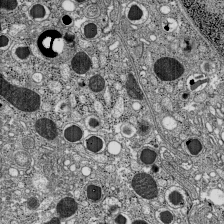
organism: C57BL Mouse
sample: Pancreatic islet